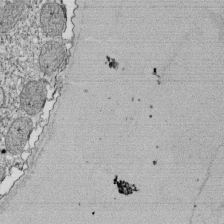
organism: Tetrahymena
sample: Cilia in tetrahymena